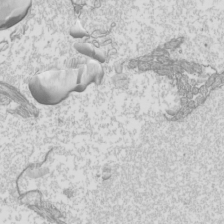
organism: Mouse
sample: Cilia; mouse epididymis